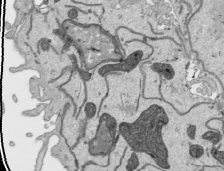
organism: Human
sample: Mitochondria in HCT116 cells